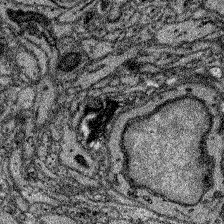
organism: Zebrafish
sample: Larval olfactory bulb